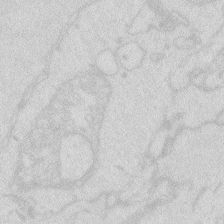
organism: Zebrafish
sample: Macrophage